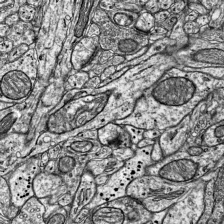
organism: Mouse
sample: Visual Cortex